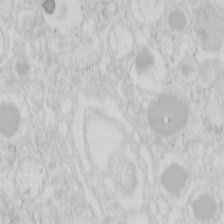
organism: Mouse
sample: Pancreas